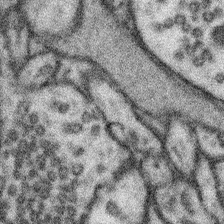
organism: Mouse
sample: Somatosensory cortex neuropil